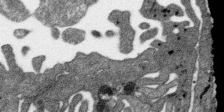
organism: Human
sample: Lung epithelial cells, uninfected (mock) control